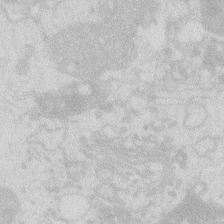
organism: Zebrafish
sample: Macrophage